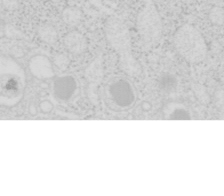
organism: Mouse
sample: Pancreas